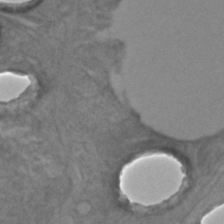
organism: C. elegans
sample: C. elegans embryo